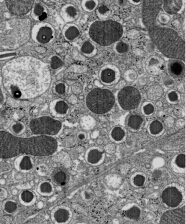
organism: C57BL Mouse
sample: Pancreatic islet